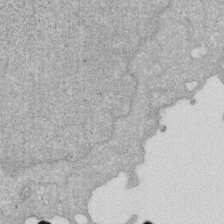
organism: Human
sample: HIV infected U937 cells